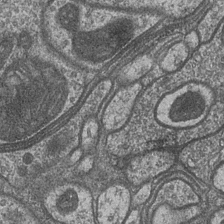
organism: Drosophila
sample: Optic medulla